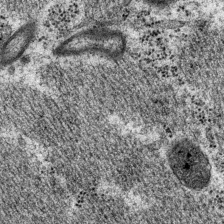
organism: P. pacificus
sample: Pharynx